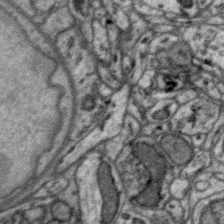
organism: Zebra finch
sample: Brain